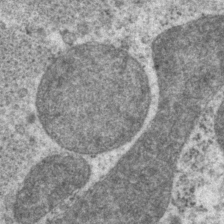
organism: P. pacificus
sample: Pharynx